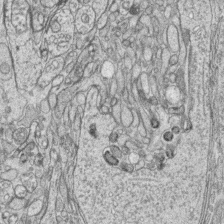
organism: Zebrafish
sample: synaptic ribbons in rod cells and cone cells